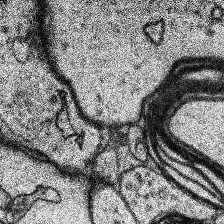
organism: Human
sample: Temporal Lobe